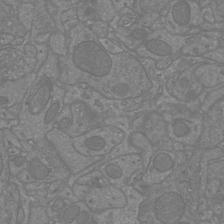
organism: Mouse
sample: Cortical neurons